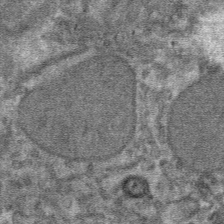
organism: Mouse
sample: Mouse hepatocytes